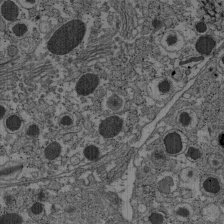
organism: C57BL Mouse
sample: Pancreatic islet